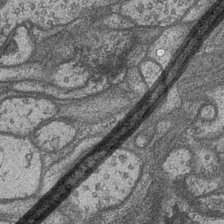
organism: Drosophila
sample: Optic medulla